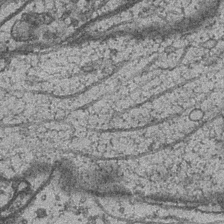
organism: Drosophila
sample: Optic medulla